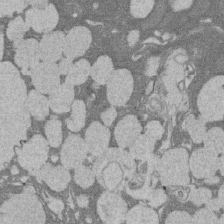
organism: Rat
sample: Salivary granule